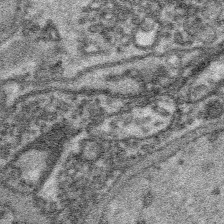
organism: Platynereis dumerilii